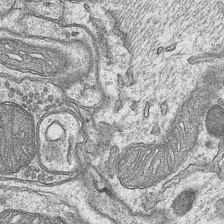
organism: Mouse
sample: CA1 Hippocampus